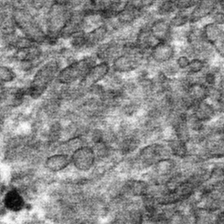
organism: Mouse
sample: Mouse hepatocytes